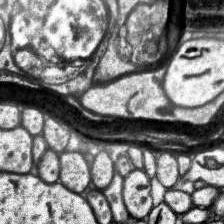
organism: Human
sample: Temporal Lobe